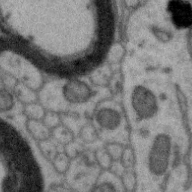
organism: Zebra finch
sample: Brain